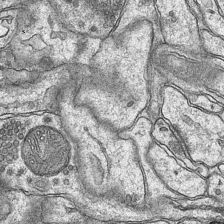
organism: Mouse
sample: CA1 Hippocampus